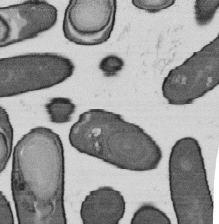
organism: B. subtilis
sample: Bacterial spore